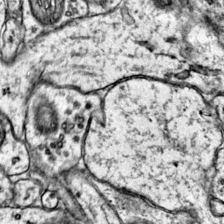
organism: Mouse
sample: Primary visual cortex